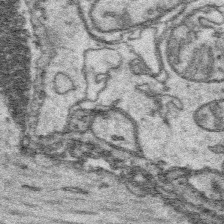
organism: Platynereis dumerilii